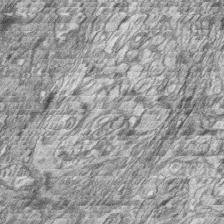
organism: Zebrafish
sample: synaptic ribbons in rod cells and cone cells